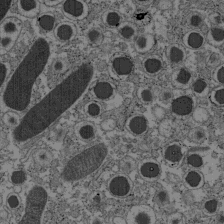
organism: C57BL Mouse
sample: Pancreatic islet